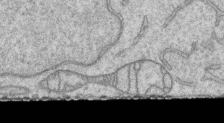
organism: Human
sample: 1205lu cells